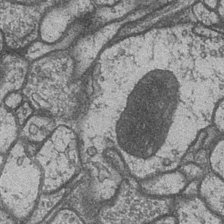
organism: Drosophila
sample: Optic medulla